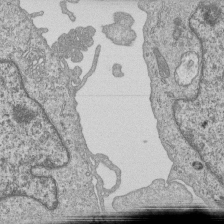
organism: Human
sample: MDA-MB-231 cells